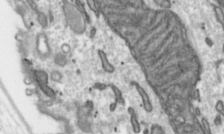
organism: Toxoplasma gondii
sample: Parasites in a vacuole inside a host cell